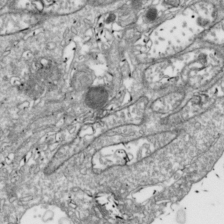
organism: Drosophila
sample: Cell division; meiosis; drosophila spermatocytes